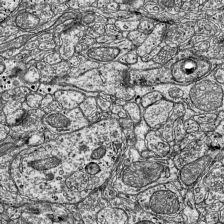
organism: Mouse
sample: Visual Cortex